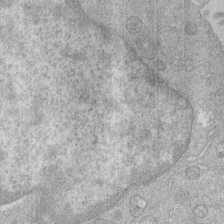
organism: Human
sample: Macrophage cells